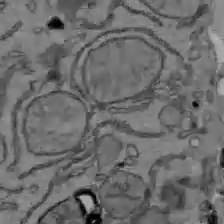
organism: C57BL Mouse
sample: Liver